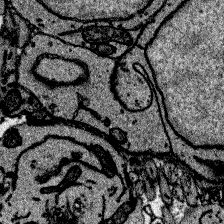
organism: Zebrafish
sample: Larval olfactory bulb